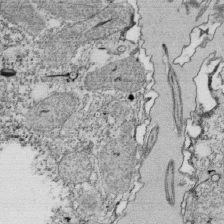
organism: Tetrahymena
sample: Cilia in tetrahymena